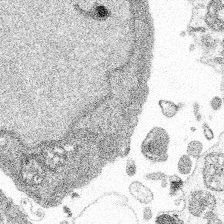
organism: Spongilla lacustris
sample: Multiple